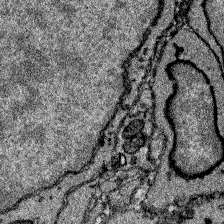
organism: Zebrafish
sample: Larval olfactory bulb